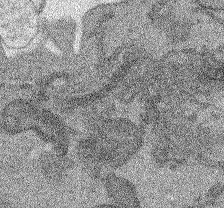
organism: Human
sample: HeLa cells